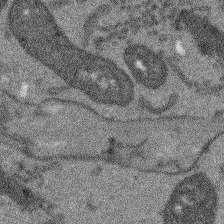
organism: Arabidopsis thaliana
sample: Root tip